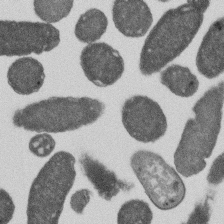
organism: E. coli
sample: Bacterial nucleoid